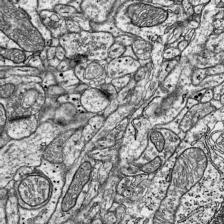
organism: Mouse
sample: Visual Cortex